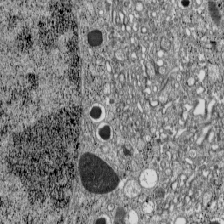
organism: C57BL Mouse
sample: Pancreatic islet